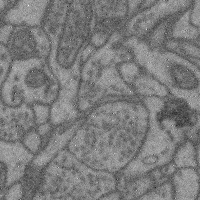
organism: Mouse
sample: Cerebral cortex